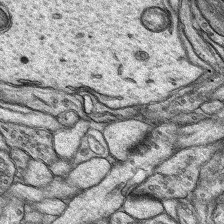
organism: Rat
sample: Hippocampus